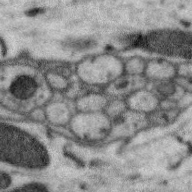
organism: Zebra finch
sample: Brain